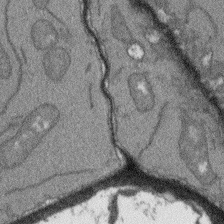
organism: Arabidopsis thaliana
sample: Root tip